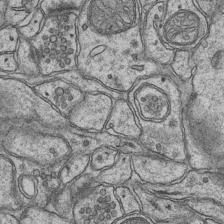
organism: Mouse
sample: CA1 Hippocampus